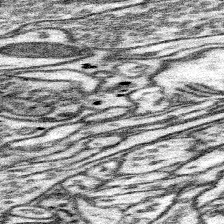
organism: Mouse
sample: Somatosensory cortex neuropil